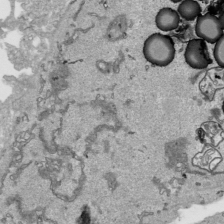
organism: Human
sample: Mitochondria in HCT116 cells